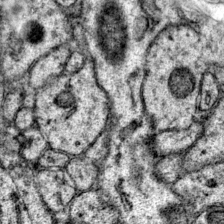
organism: Mouse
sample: Primary visual cortex